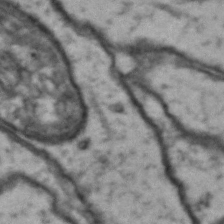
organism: Drosophila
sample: Brain